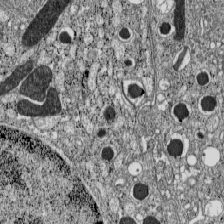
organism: C57BL Mouse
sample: Pancreatic islet